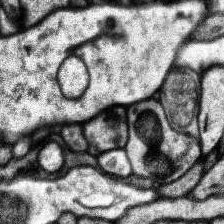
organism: Human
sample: Temporal Lobe